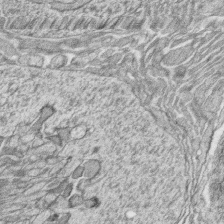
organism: Zebrafish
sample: synaptic ribbons in rod cells and cone cells